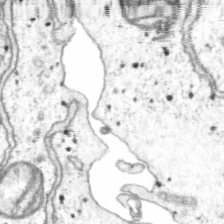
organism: Human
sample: HeLa cells